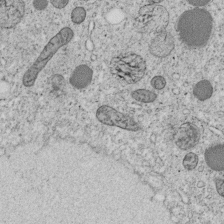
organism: C. elegans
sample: C. elegans embryo early stage